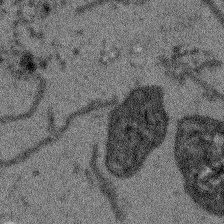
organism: Arabidopsis thaliana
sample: Root tip